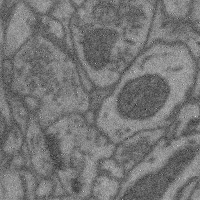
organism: Mouse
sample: Cerebral cortex